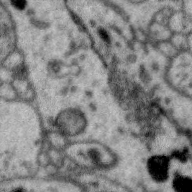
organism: Zebra finch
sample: Brain